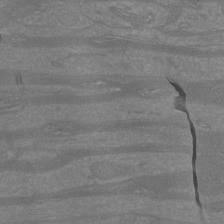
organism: Mouse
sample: Cortical neurons